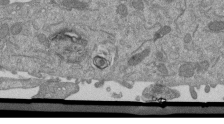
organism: Mouse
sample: ED-1 cell nuclei; centrioles